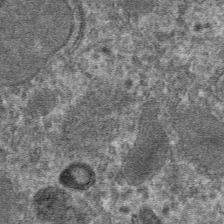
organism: Mouse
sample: Mouse hepatocytes